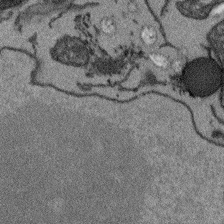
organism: Arabidopsis thaliana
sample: Root tip